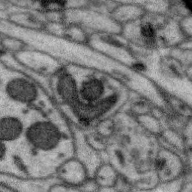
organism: Zebra finch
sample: Brain